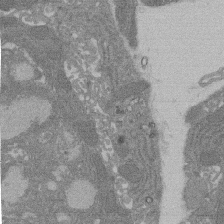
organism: Rat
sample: Salivary granule